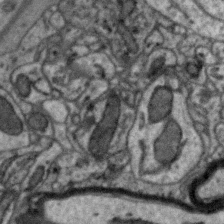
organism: Zebra finch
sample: Brain